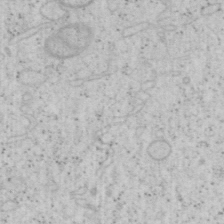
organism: Human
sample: HeLa cells